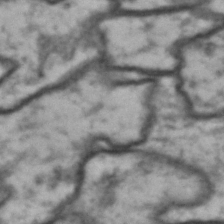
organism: Drosophila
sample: Brain